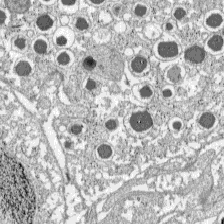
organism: C57BL Mouse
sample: Pancreatic islet